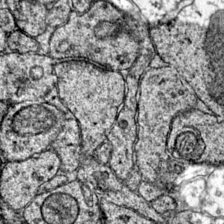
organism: Mouse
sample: Primary visual cortex